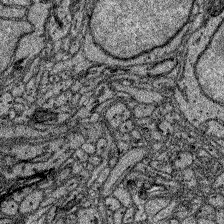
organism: Zebrafish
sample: Larval olfactory bulb